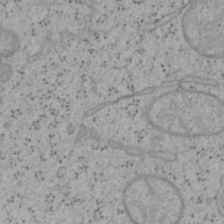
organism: Human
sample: HeLa cells